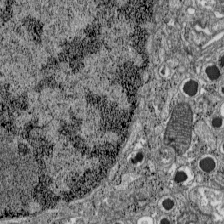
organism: C57BL Mouse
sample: Pancreatic islet